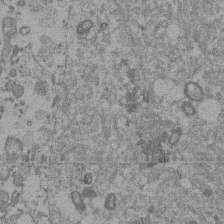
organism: Mouse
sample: Dividing mouse embryo 1 cell stage